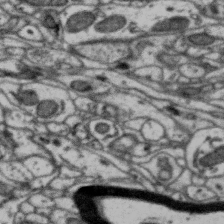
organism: Zebra finch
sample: Brain